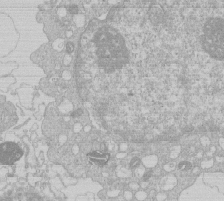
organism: Human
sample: Macrophage cells